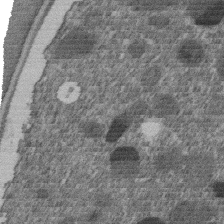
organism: C. elegans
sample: C. elegans embryo early stage